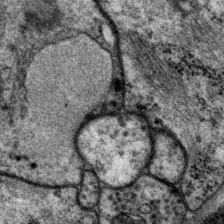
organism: P. pacificus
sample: Pharynx